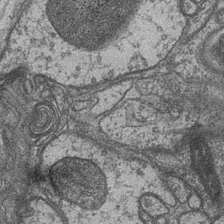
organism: Drosophila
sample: Optic medulla